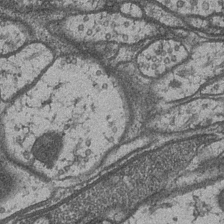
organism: Drosophila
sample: Optic medulla